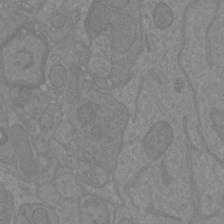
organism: Mouse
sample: Cortical neurons